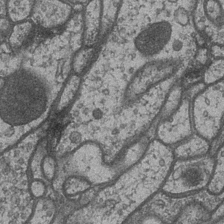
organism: Drosophila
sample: Optic medulla